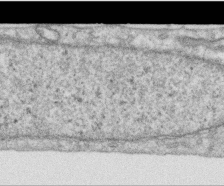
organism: Human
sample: Centriole in RPE cells